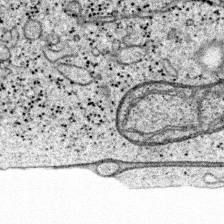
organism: Human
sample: HeLa cells